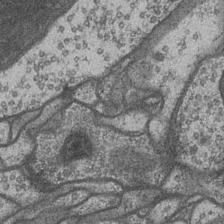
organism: Drosophila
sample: Optic medulla